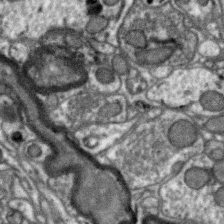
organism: Zebra finch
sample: Brain